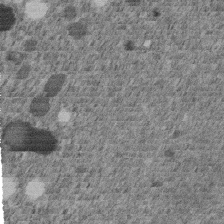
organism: C. elegans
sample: C. elegans embryo early stage